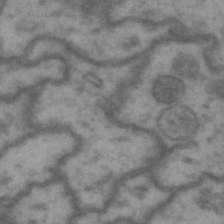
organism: Drosophila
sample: Brain